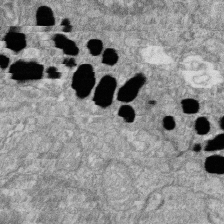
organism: Zebrafish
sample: Cilia; retinal pigment epithelium